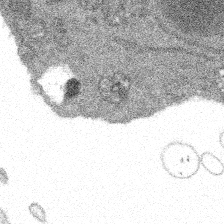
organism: Spongilla lacustris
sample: Multiple